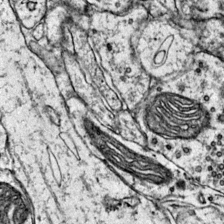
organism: Mouse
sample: Primary visual cortex